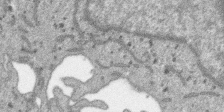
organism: Human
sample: Lung epithelial cells infected with SARS-CoV-2